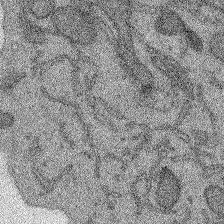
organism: Human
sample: HeLa cells